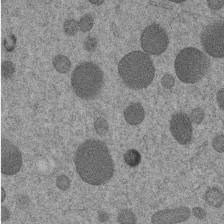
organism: C. elegans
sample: C. elegans embryo early stage